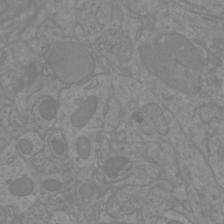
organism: Mouse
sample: Cortical neurons